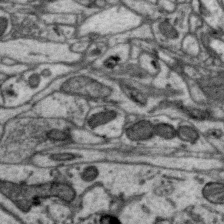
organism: Zebra finch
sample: Brain